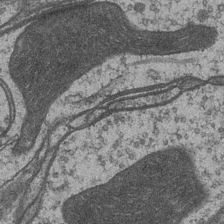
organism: Drosophila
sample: Optic medulla